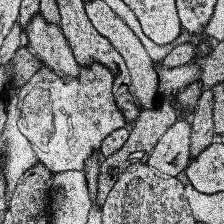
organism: Human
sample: Temporal Lobe